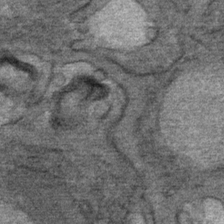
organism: Mouse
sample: Mouse Salivary gland